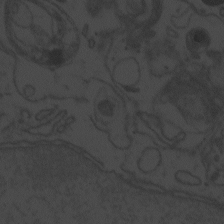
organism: Zebrafish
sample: Macrophage infected with Toxoplasma gondii